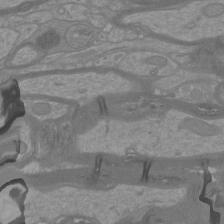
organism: Mouse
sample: Cortical neurons